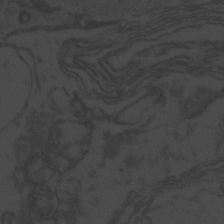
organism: Zebrafish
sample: Macrophage infected with Toxoplasma gondii